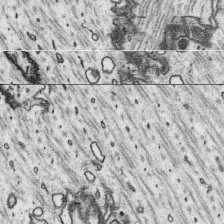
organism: Platynereis dumerilii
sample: Parapodia